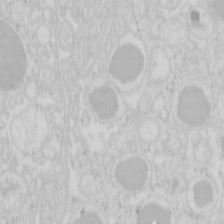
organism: Mouse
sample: Pancreas